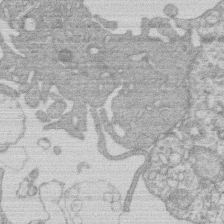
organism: Human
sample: Macrophage cells